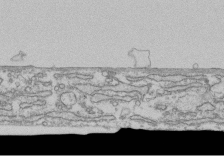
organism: Human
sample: Fibroblast cells